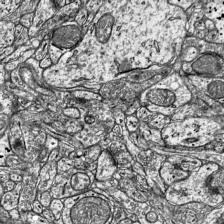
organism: Mouse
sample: Visual Cortex